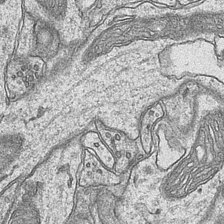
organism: Mouse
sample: CA1 Hippocampus